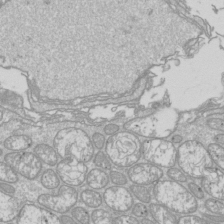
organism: Drosophila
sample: Cell division; meiosis; drosophila spermatocytes